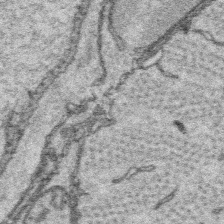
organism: Platynereis dumerilii